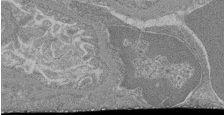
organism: Mouse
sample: Glomerulus